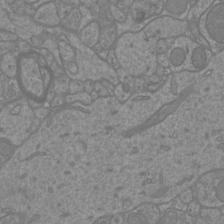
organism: Mouse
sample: Cortical neurons